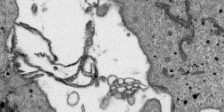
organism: Human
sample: Lung epithelial cells, uninfected (mock) control